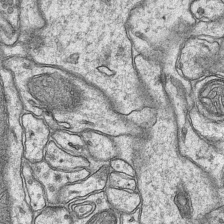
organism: Mouse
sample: CA1 Hippocampus